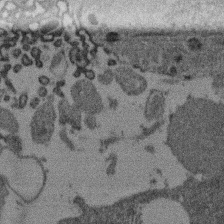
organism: Mouse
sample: Dividing mouse embryo 1 cell stage